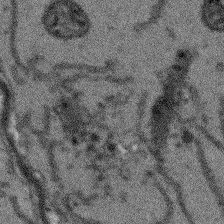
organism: Arabidopsis thaliana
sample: Root tip